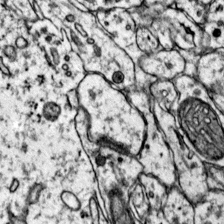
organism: Mouse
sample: Primary visual cortex